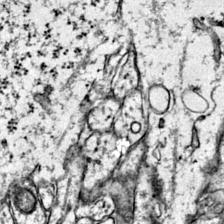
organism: Mouse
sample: Primary visual cortex